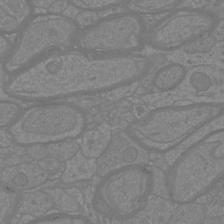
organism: Mouse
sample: Cortical neurons